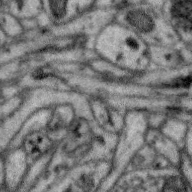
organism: Zebra finch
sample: Brain